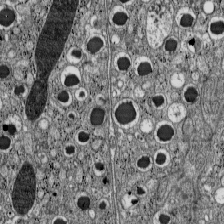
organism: C57BL Mouse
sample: Pancreatic islet